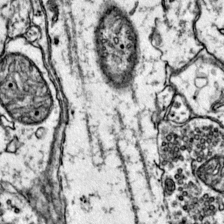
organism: Mouse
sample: Primary visual cortex